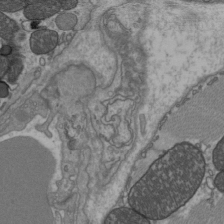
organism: C57BL Mouse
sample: Heart